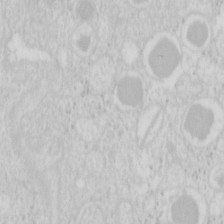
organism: Mouse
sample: Pancreas